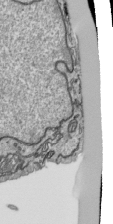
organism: Human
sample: Mitochondria in HCT116 cells